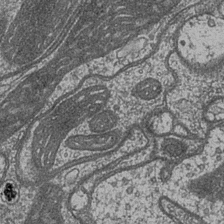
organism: Drosophila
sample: Optic medulla